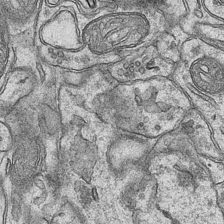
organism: Mouse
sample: CA1 Hippocampus